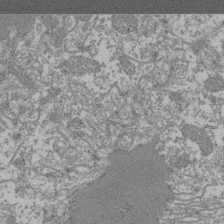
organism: Mouse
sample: Glomerulus